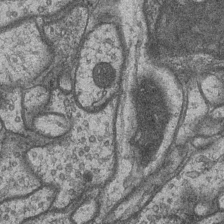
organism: Drosophila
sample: Optic medulla